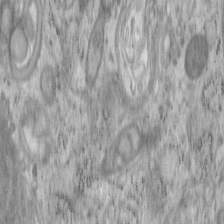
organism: Human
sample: HeLa cells